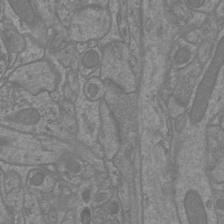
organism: Mouse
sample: Cortical neurons